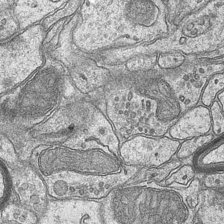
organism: Mouse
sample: CA1 Hippocampus